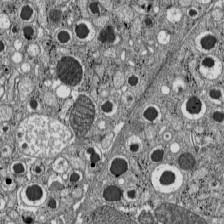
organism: C57BL Mouse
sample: Pancreatic islet